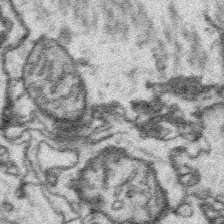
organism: Platynereis dumerilii